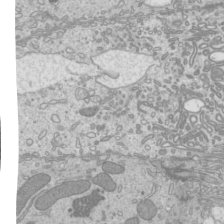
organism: Mouse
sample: Cilia; mouse epididymis